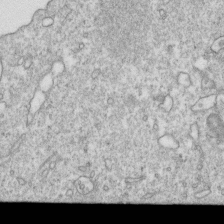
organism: Mouse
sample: Activated OT-1 CD8+ T cells